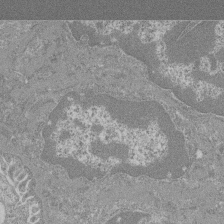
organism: Mouse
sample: Glomerulus